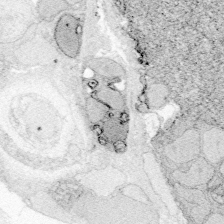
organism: Zebrafish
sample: Whole-Brain